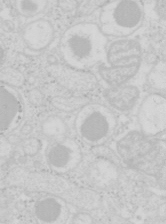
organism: Mouse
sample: Pancreas